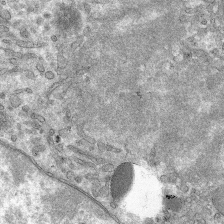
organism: Mouse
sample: Mouse hepatocytes